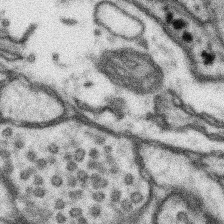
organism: Mouse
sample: Somatosensory cortex neuropil